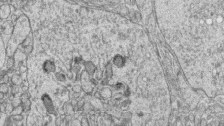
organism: Zebrafish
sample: synaptic ribbons in rod cells and cone cells